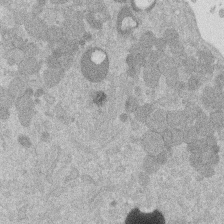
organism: Mouse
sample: Dividing mouse embryo 1 cell stage